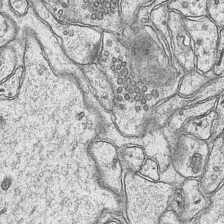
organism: Mouse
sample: CA1 Hippocampus